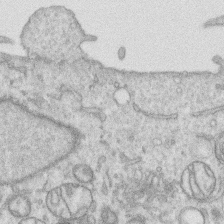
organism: Human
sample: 1205lu cells